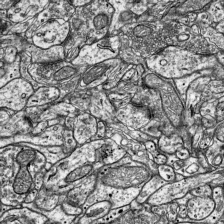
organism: Mouse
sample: Visual Cortex